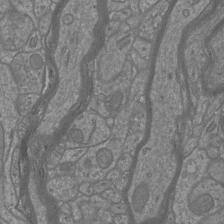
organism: Mouse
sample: Cortical neurons